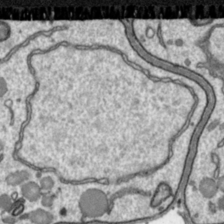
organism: Toxoplasma gondii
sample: Parasites in a vacuole inside a host cell